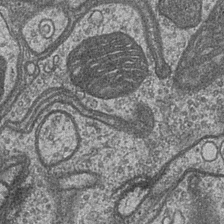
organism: Drosophila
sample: Optic medulla